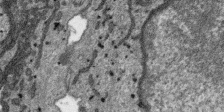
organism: Human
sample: Lung epithelial cells, uninfected (mock) control